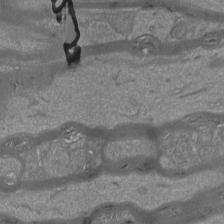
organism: Mouse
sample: Cortical neurons